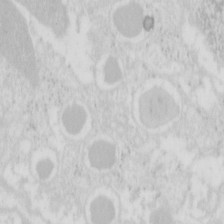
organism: Mouse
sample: Pancreas